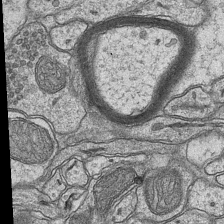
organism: Mouse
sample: CA1 Hippocampus